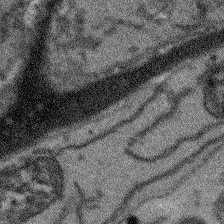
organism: Arabidopsis thaliana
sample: Root tip